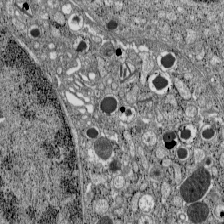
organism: C57BL Mouse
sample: Pancreatic islet